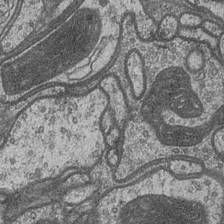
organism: Drosophila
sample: Optic medulla